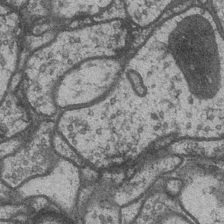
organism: Drosophila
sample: Optic medulla